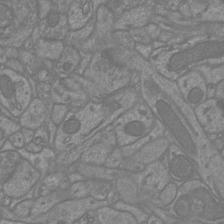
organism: Mouse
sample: Cortical neurons